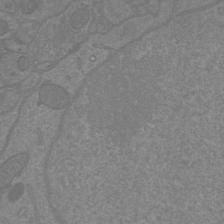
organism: Mouse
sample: Cortical neurons